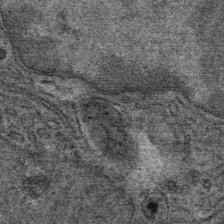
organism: Mouse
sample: Mouse Salivary gland